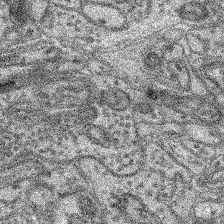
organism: Mouse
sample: Retina